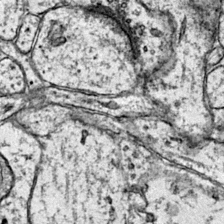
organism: Mouse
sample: Primary visual cortex